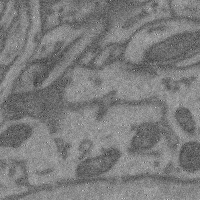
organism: Mouse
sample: Cerebral cortex